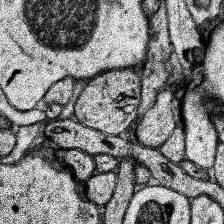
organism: Human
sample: Temporal Lobe